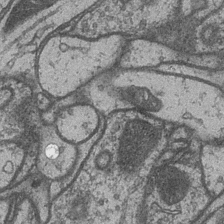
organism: Drosophila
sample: Optic medulla